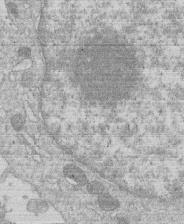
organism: Human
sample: Macrophage cells